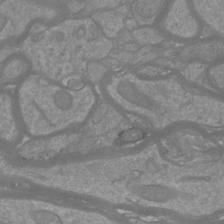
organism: Mouse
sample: Cortical neurons